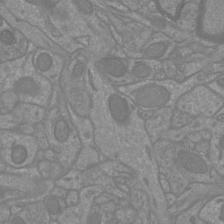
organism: Mouse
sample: Cortical neurons